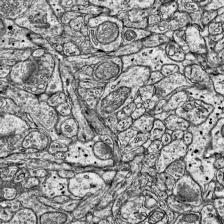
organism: Mouse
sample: Visual Cortex